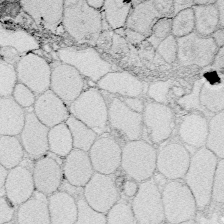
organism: Zebrafish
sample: Whole-Brain